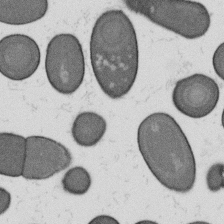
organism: B. subtilis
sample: Bacterial spore